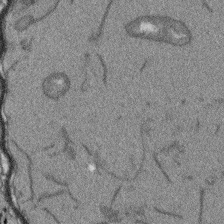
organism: Arabidopsis thaliana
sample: Root tip